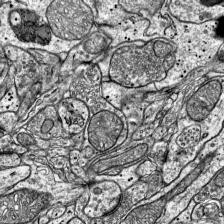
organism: Mouse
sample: Visual Cortex